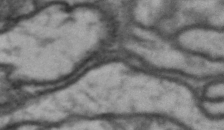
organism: Drosophila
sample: Brain